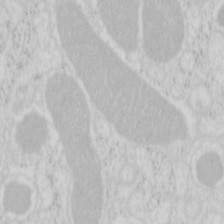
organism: Mouse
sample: Pancreas